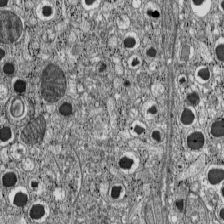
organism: C57BL Mouse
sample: Pancreatic islet